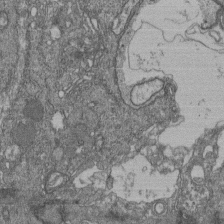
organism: Human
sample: Retinal organoid Rod and Cone cells